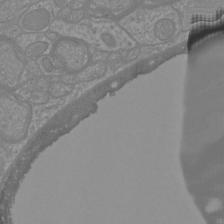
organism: Mouse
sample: Cortical neurons